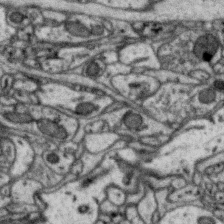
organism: Zebra finch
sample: Brain